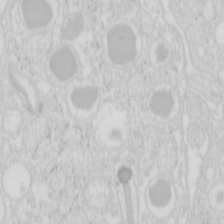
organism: Mouse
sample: Pancreas